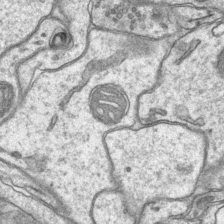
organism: Mouse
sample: CA1 Hippocampus